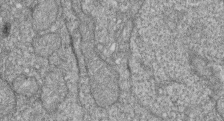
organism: Zebrafish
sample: Cilia; retinal pigment epithelium